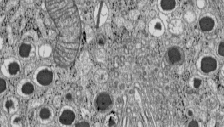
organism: C57BL Mouse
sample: Pancreatic islet